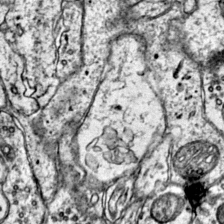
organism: Mouse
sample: Primary visual cortex